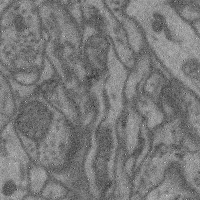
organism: Mouse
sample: Cerebral cortex